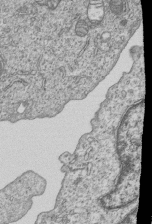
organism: Human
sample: MDA-MB-231 cells